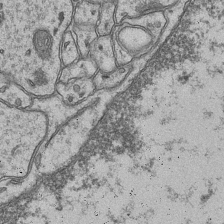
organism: Mouse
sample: CA1 Hippocampus